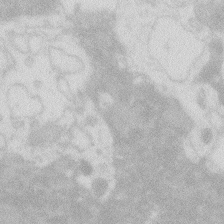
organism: Zebrafish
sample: Macrophage